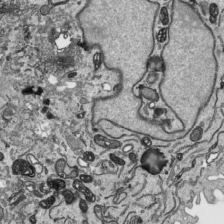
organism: Human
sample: Mitochondria in HCT116 cells